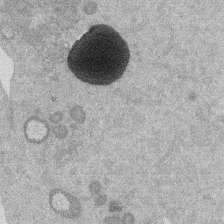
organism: Mouse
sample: Dividing mouse embryo 1 cell stage